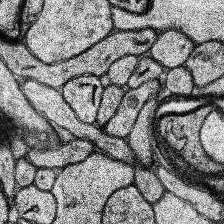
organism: Human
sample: Temporal Lobe